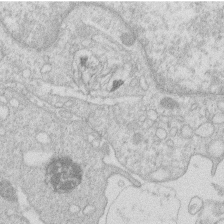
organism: Human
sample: Macrophage cells